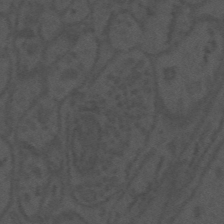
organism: Mouse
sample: Suprachiasmatic nucleus